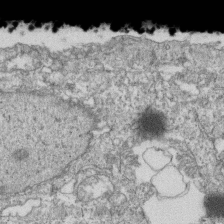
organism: Human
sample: HeLa cell HIV synapse